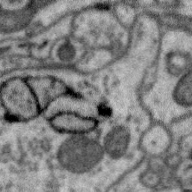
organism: Zebra finch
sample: Brain